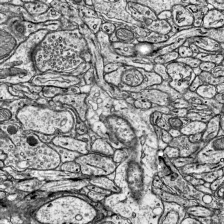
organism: Mouse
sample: Visual Cortex